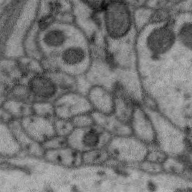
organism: Zebra finch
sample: Brain